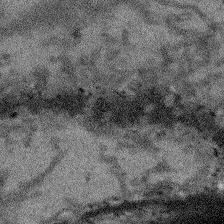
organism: Arabidopsis thaliana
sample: Root tip